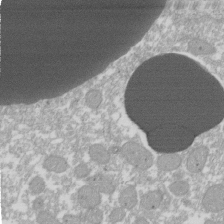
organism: Xenopus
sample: Cilia; centrioles in frog embryo cells